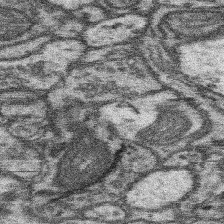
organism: Mouse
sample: Somatosensory cortex neuropil